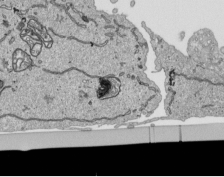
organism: Human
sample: Mitochondria in HCT116 cells